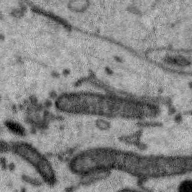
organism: Zebra finch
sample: Brain